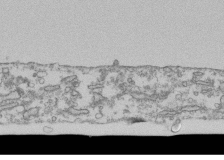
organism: Human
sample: Fibroblast cells